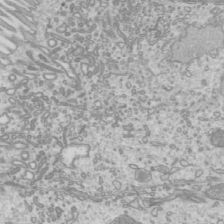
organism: Mouse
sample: Cilia; mouse epididymis